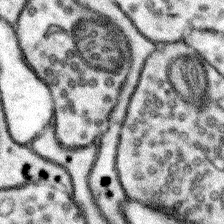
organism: Mouse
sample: Somatosensory cortex neuropil